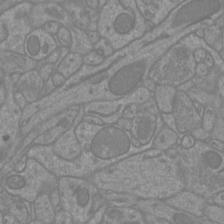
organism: Mouse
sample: Cortical neurons